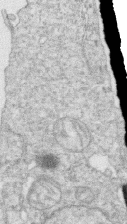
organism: Human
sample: HeLa cell HIV synapse